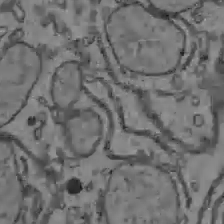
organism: C57BL Mouse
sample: Liver